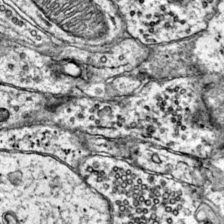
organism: Mouse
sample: Primary visual cortex